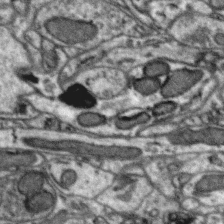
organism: Zebra finch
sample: Brain